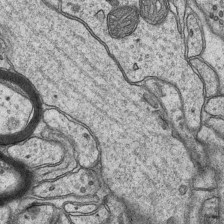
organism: Mouse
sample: CA1 Hippocampus